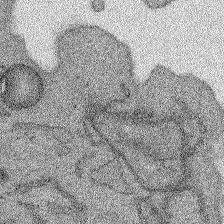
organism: Human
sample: HeLa cells